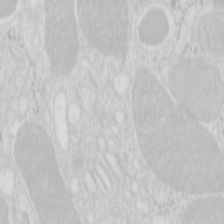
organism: Mouse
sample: Pancreas